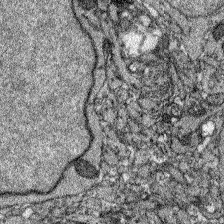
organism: Zebrafish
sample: Larval olfactory bulb